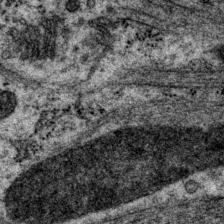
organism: P. pacificus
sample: Pharynx